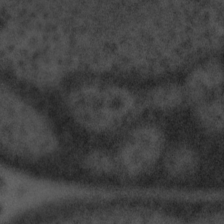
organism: Tuwongella immobilis